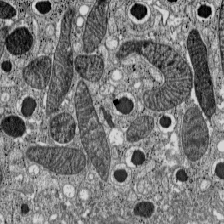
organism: C57BL Mouse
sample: Pancreatic islet